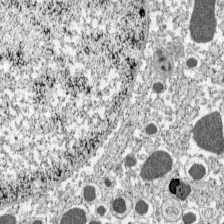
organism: C57BL Mouse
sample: Pancreatic islet